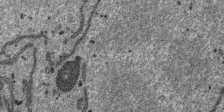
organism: Human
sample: Lung epithelial cells infected with SARS-CoV-2